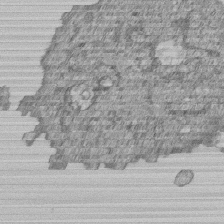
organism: Human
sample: MDA-MB-231 cells